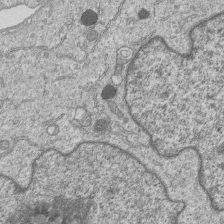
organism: Human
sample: MDA-MB-231 cells